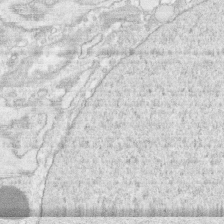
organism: Human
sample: CRL-1474